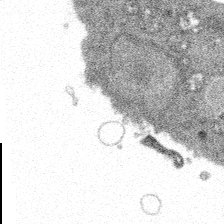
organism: Spongilla lacustris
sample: Multiple